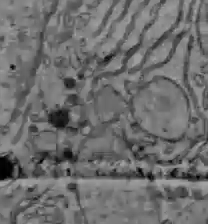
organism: C57BL Mouse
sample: Liver